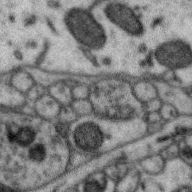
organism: Zebra finch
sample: Brain